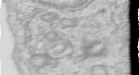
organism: Human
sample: Centriole in RPE cells